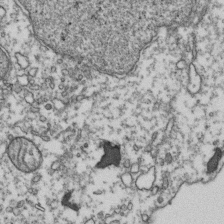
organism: Human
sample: Activated Jurkat CD4+ T cells